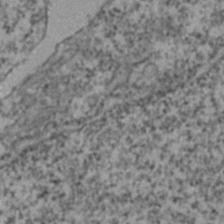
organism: Zebrafish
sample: Zebrafish embryo